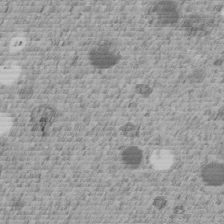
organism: C. elegans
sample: C. elegans embryo early stage